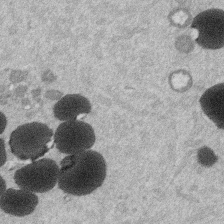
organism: Mouse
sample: Dividing mouse embryo 1 cell stage